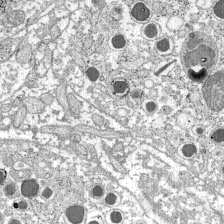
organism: C57BL Mouse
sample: Pancreatic islet